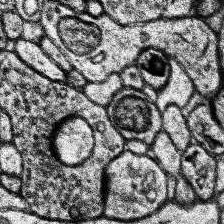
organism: Human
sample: Temporal Lobe